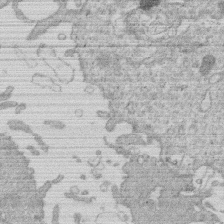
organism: Human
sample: Macrophage cells